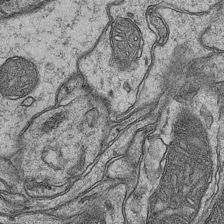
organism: Mouse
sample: CA1 Hippocampus